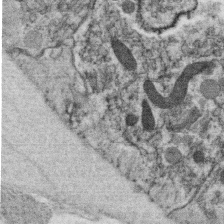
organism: C. elegans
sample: C. elegans oocyte; sperm cells